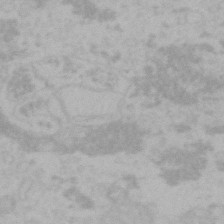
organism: Mouse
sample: Choroid plexus